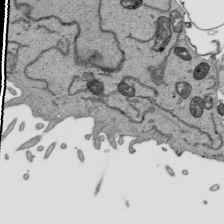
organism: Human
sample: Mitochondria in HCT116 cells